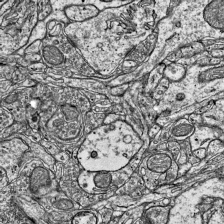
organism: Mouse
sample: Visual Cortex